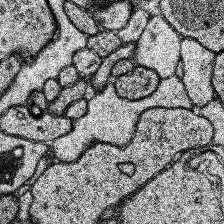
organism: Human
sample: Temporal Lobe